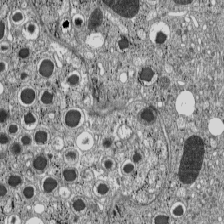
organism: C57BL Mouse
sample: Pancreatic islet